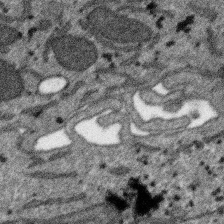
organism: Human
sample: Lung epithelial cells infected with SARS-CoV-2